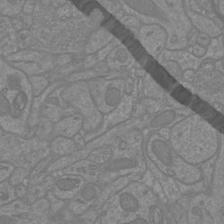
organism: Mouse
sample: Cortical neurons